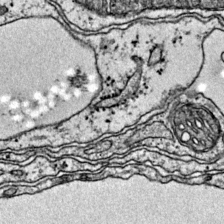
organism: Mouse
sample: Primary visual cortex